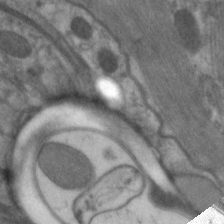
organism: C. elegans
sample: Pharynx